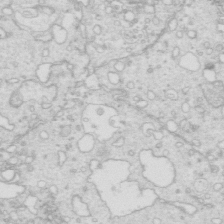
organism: Mouse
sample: Multiciliated cells